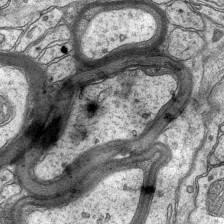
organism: Mouse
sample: CA1 Hippocampus